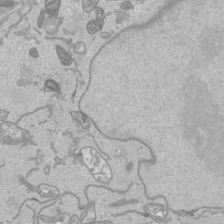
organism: Human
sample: Mitochondria in HCT116 cells